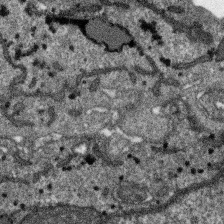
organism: Human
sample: Lung epithelial cells infected with SARS-CoV-2